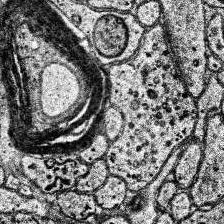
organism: Human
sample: Temporal Lobe